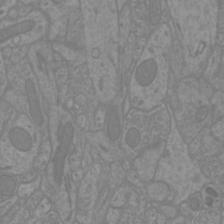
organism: Mouse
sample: Cortical neurons